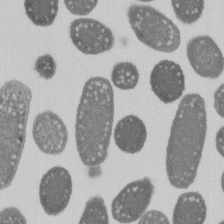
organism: E. coli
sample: Bacterial nucleoid